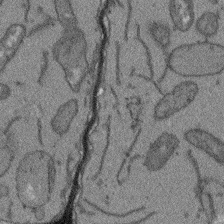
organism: Arabidopsis thaliana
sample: Root tip